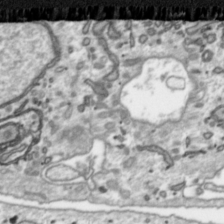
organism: Toxoplasma gondii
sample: Parasites in a vacuole inside a host cell